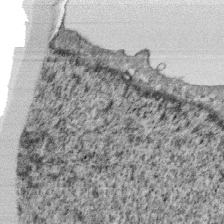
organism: African green monkey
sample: Vero E6 cells infected with SARS-CoV-2